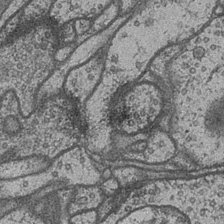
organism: Drosophila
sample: Optic medulla